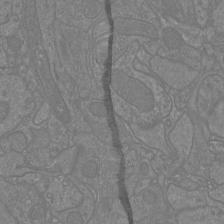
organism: Mouse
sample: Cortical neurons